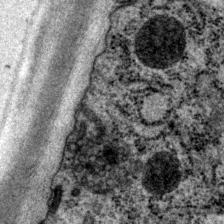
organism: P. pacificus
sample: Pharynx